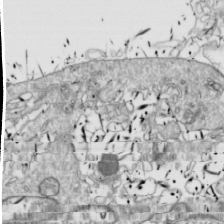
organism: Drosophila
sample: Cell division; meiosis; drosophila spermatocytes